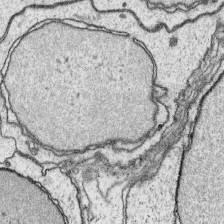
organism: Platynereis dumerilii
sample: Parapodia